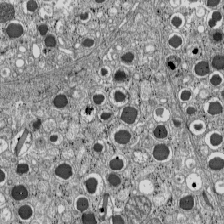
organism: C57BL Mouse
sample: Pancreatic islet